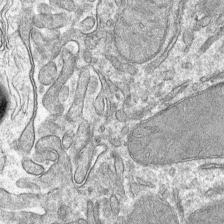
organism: Mouse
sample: Mouse hepatocytes